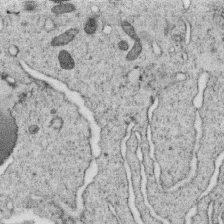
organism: C. elegans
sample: C. elegans oocyte; sperm cells